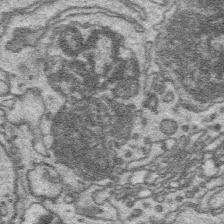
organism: Platynereis dumerilii